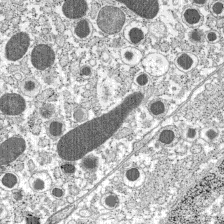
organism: C57BL Mouse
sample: Pancreatic islet